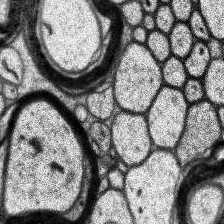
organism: Human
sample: Temporal Lobe